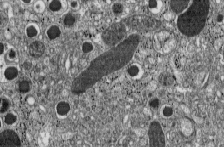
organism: C57BL Mouse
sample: Pancreatic islet